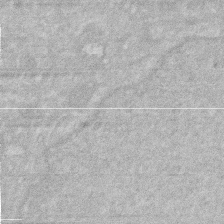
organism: Human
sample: HIV infected U937 cells